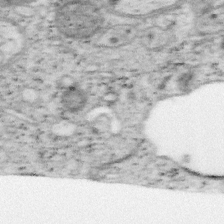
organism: Mouse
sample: OT-I killer T cells with ID8 ovarian cancer cells